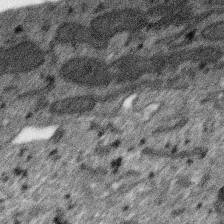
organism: Human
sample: Lung epithelial cells infected with SARS-CoV-2